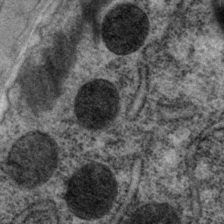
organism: P. pacificus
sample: Pharynx